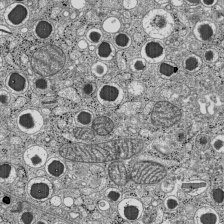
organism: C57BL Mouse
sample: Pancreatic islet